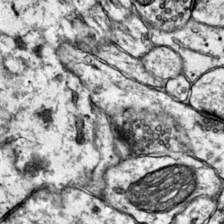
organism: Mouse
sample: Primary visual cortex